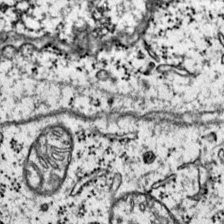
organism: Mouse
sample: Primary visual cortex